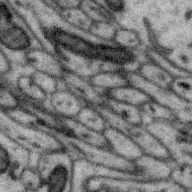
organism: Zebra finch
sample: Brain